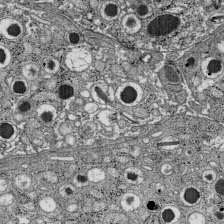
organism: C57BL Mouse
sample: Pancreatic islet